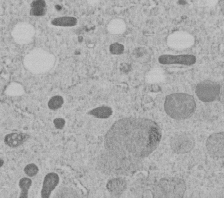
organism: C. elegans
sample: C. elegans embryo early stage